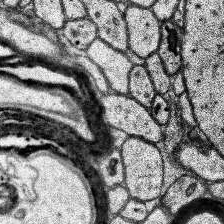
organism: Human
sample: Temporal Lobe